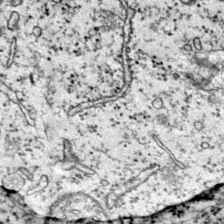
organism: Mouse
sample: Primary visual cortex